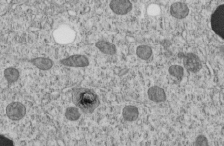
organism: C. elegans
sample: C. elegans embryo early stage